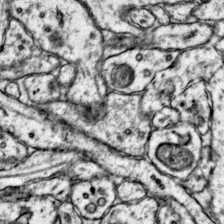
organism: Mouse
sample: Primary visual cortex